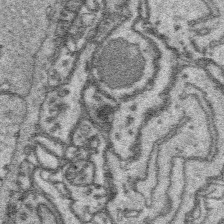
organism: Platynereis dumerilii